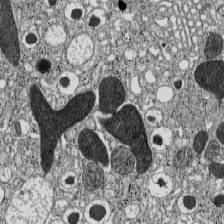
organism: C57BL Mouse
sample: Pancreatic islet